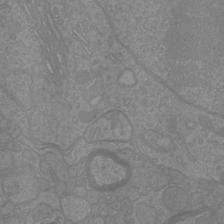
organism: Mouse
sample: Cortical neurons